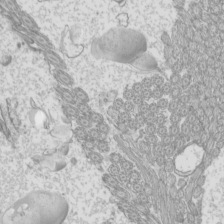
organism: Mouse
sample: Cilia; mouse epididymis